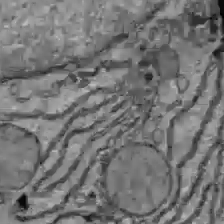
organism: C57BL Mouse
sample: Liver